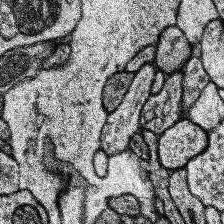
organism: Human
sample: Temporal Lobe